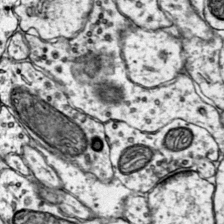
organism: Mouse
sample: Primary visual cortex